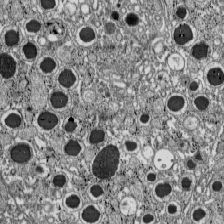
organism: C57BL Mouse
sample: Pancreatic islet